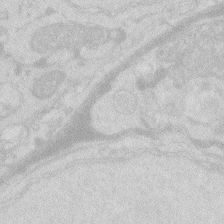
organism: Zebrafish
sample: Macrophage